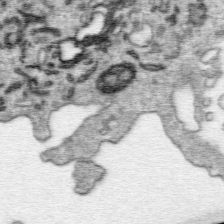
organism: Human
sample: HeLa cells